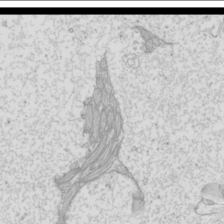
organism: Mouse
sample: Cilia; mouse epididymis